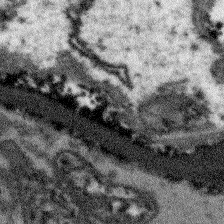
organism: Arabidopsis thaliana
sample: Root tip